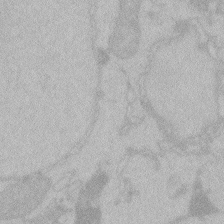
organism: Zebrafish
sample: Macrophage infected with Toxoplasma gondii